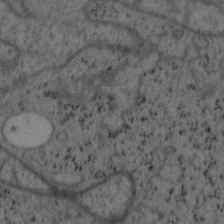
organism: Human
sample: HeLa cells